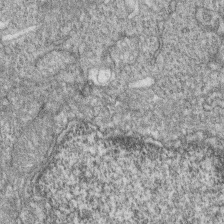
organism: Zebrafish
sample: Cilia; retinal pigment epithelium